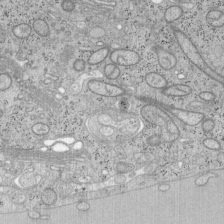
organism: Mouse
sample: OT-I killer T cells with ID8 ovarian cancer cells